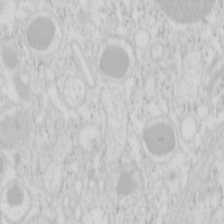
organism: Mouse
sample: Pancreas